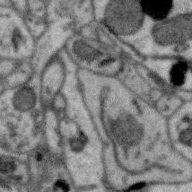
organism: Zebra finch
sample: Brain